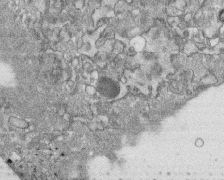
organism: Human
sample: CRL-1474